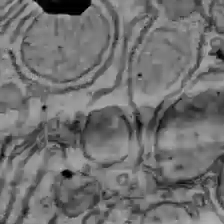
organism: C57BL Mouse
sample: Liver